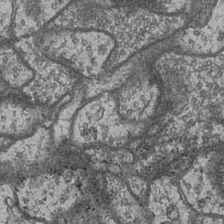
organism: Drosophila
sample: Optic medulla